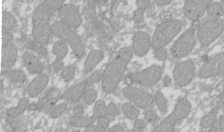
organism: Xenopus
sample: Cilia; centrioles in frog embryo cells